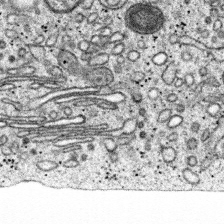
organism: Human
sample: HeLa cells